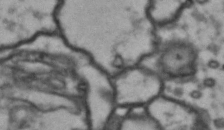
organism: Drosophila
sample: Brain